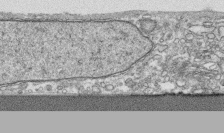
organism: Human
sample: CRL-1474